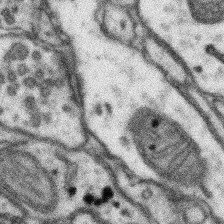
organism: Mouse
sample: Somatosensory cortex neuropil